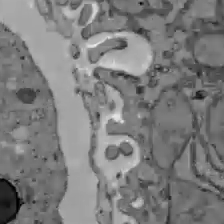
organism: C57BL Mouse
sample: Liver